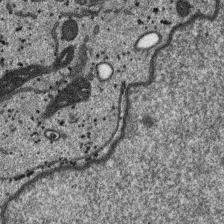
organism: Human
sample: Lung epithelial cells infected with SARS-CoV-2